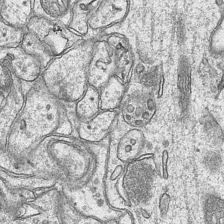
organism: Mouse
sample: CA1 Hippocampus